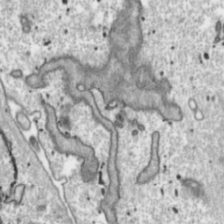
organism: Toxoplasma gondii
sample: Parasites in a vacuole inside a host cell